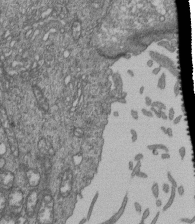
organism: Human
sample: Retinal organoid Rod and Cone cells